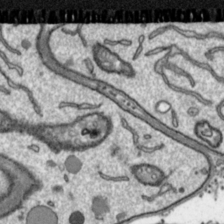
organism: Toxoplasma gondii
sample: Parasites in a vacuole inside a host cell